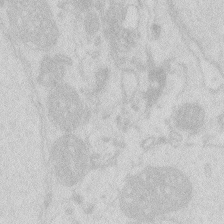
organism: Zebrafish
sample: Macrophage